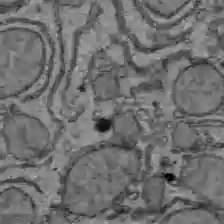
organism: C57BL Mouse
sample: Liver